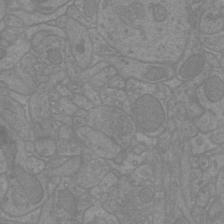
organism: Mouse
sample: Cortical neurons